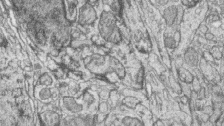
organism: Zebrafish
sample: synaptic ribbons in rod cells and cone cells